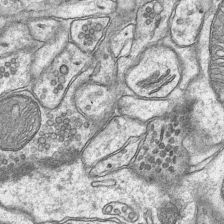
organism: Mouse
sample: CA1 Hippocampus